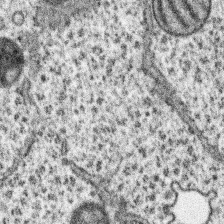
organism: Human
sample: HeLa cells